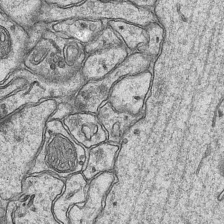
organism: Mouse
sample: CA1 Hippocampus